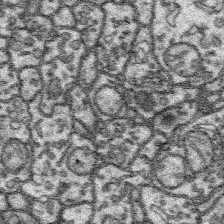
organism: Platynereis dumerilii